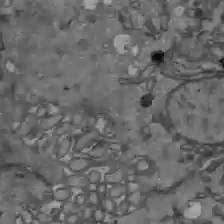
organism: C57BL Mouse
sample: Liver